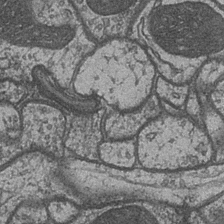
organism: Drosophila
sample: Optic medulla